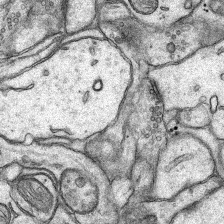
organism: Rat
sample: Hippocampus